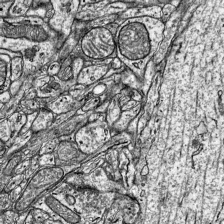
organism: Mouse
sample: Visual Cortex